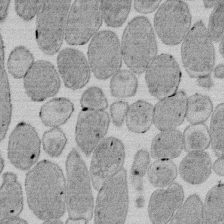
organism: E. coli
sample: Bacterial nucleoid